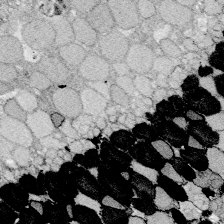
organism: Zebrafish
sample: Whole-Brain